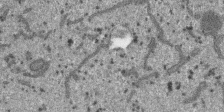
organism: Human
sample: Lung epithelial cells infected with SARS-CoV-2